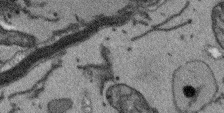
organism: Arabidopsis thaliana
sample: Root tip